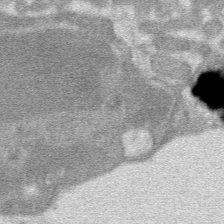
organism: Mouse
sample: Mouse hepatocytes